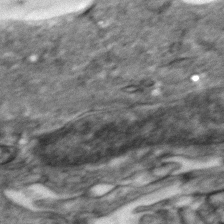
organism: Zebrafish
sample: Zebrafish embryo